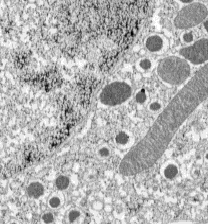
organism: C57BL Mouse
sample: Pancreatic islet